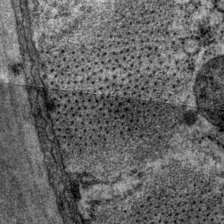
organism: P. pacificus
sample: Pharynx